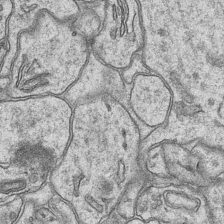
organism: Mouse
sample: CA1 Hippocampus